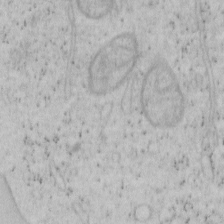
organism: Human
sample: HeLa cells